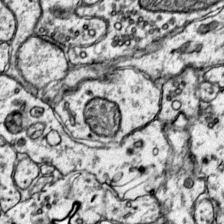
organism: Mouse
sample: Primary visual cortex